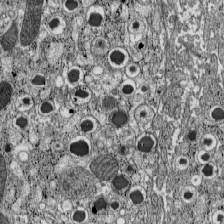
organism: C57BL Mouse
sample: Pancreatic islet